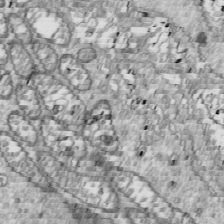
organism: Drosophila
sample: Cell division; meiosis; drosophila spermatocytes